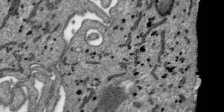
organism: Human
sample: Lung epithelial cells, uninfected (mock) control